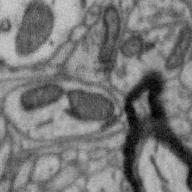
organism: Zebra finch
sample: Brain